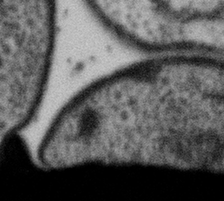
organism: Gemmata obscuriglobus